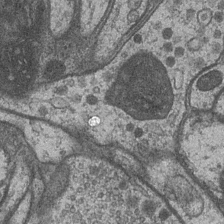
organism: Drosophila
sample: Optic medulla